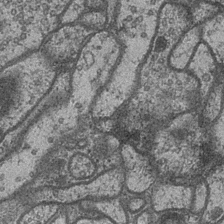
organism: Drosophila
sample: Optic medulla